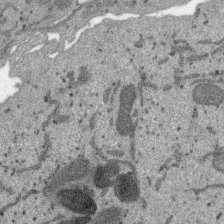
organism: Human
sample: Lung epithelial cells infected with SARS-CoV-2